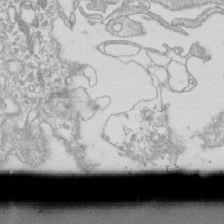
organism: Mouse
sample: Macrophages